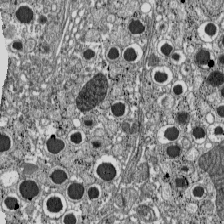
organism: C57BL Mouse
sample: Pancreatic islet